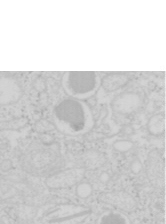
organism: Mouse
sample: Pancreas